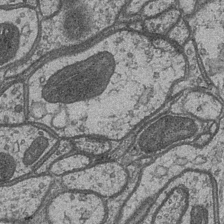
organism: Drosophila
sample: Optic medulla